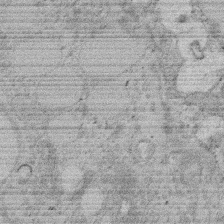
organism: Rat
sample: Salivary granule